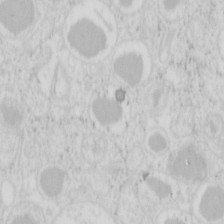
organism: Mouse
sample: Pancreas